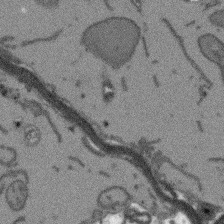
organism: Arabidopsis thaliana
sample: Root tip